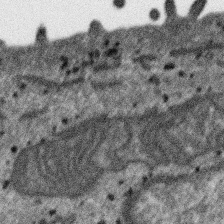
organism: Human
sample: Lung epithelial cells infected with SARS-CoV-2